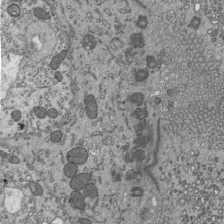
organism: Mouse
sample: Mouse epididymis efferent ductule cilia